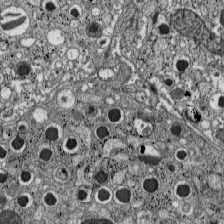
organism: C57BL Mouse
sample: Pancreatic islet